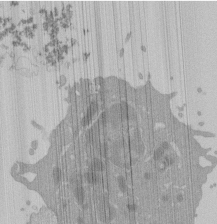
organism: Mouse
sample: Activated Pmel transgenic CD8+ T Cells